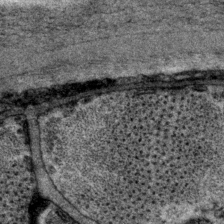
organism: P. pacificus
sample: Pharynx